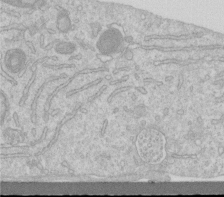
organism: Human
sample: Centriole in RPE cells